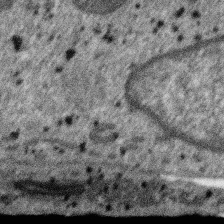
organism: Human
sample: Lung epithelial cells infected with SARS-CoV-2